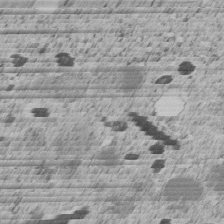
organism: C. elegans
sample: C. elegans embryo early stage